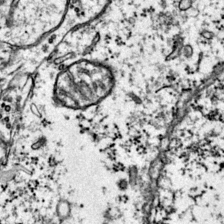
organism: Mouse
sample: Primary visual cortex